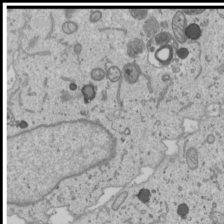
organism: Human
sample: Mitochondria in U2OS cells